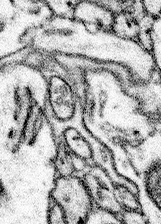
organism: Mouse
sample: Somatosensory cortex neuropil